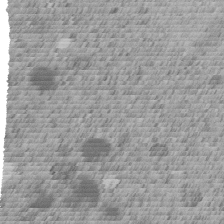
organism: C. elegans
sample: C. elegans embryo early stage